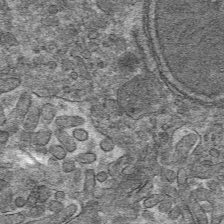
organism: Mouse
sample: Mouse hepatocytes